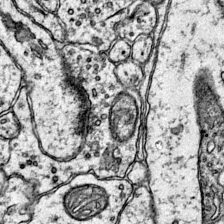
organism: Mouse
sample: Primary visual cortex